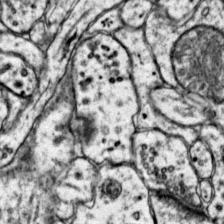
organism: Mouse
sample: Primary visual cortex